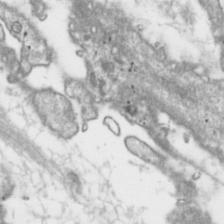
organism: Toxoplasma gondii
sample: Parasites in a vacuole inside a host cell